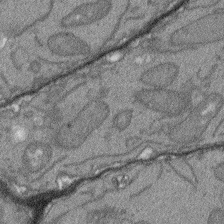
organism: Arabidopsis thaliana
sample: Root tip